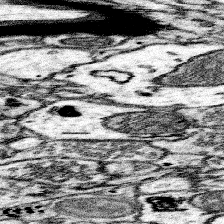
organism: Mouse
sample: Somatosensory cortex neuropil